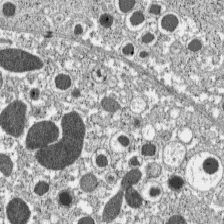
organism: C57BL Mouse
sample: Pancreatic islet